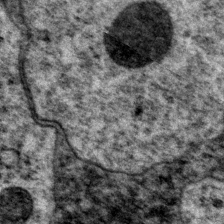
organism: P. pacificus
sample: Pharynx